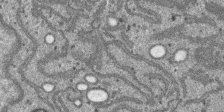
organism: Human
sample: Lung epithelial cells infected with SARS-CoV-2